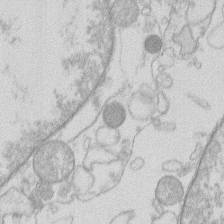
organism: Human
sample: Macrophage cells